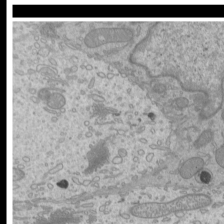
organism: Mouse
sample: Cilia; mouse epididymis